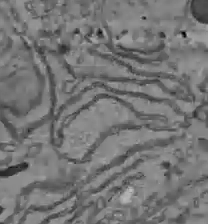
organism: C57BL Mouse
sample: Liver